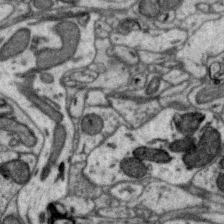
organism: Zebra finch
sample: Brain